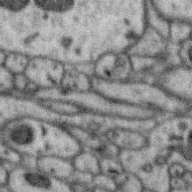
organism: Zebra finch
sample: Brain